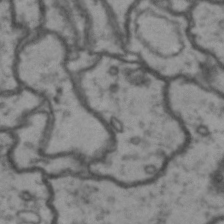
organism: Drosophila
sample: Brain